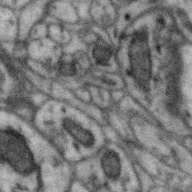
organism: Zebra finch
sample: Brain